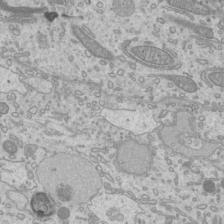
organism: Mouse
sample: Cilia; mouse epididymis